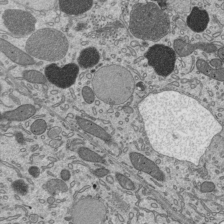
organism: Mouse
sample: Mouse epididymis efferent ductule cilia